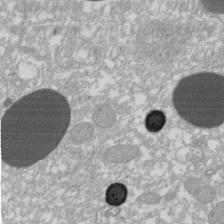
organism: Xenopus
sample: Cilia; centrioles in frog embryo cells